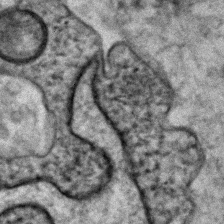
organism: Human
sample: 1205lu cells